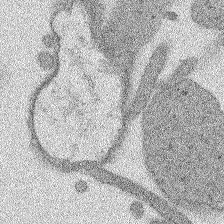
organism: Human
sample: HeLa cells